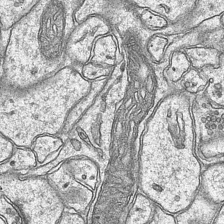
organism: Mouse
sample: CA1 Hippocampus